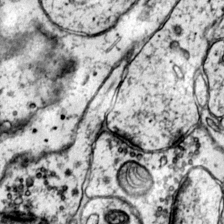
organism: Mouse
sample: Primary visual cortex